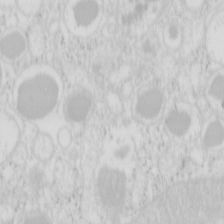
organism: Mouse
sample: Pancreas